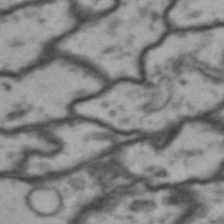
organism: Drosophila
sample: Brain